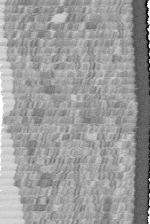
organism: Human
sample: Centriole in fibroblast cells